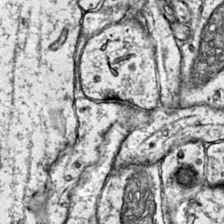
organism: Mouse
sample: Primary visual cortex